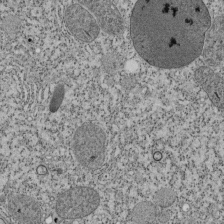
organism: Tetrahymena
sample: Cilia in tetrahymena